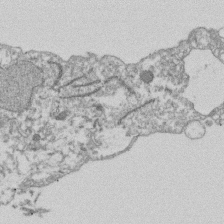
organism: Dictyostelium discoideum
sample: Dictyostelium multivesicular bodies